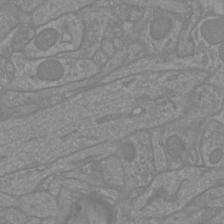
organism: Mouse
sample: Cortical neurons